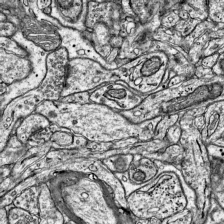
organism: Mouse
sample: Visual Cortex